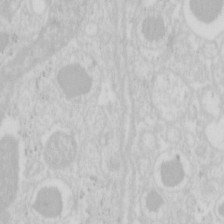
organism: Mouse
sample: Pancreas